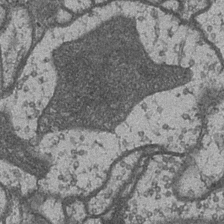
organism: Drosophila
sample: Optic medulla